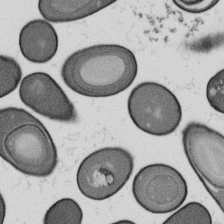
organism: B. subtilis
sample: Bacterial spore